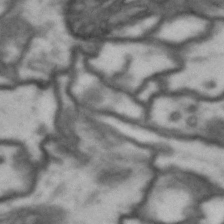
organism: Drosophila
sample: Brain